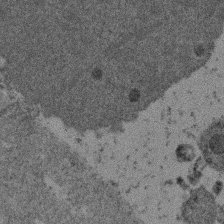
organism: Mouse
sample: Dividing mouse embryo 1 cell stage